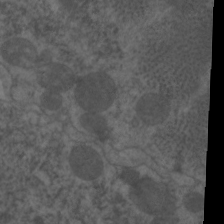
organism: C. elegans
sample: Pharynx